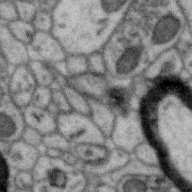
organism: Zebra finch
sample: Brain